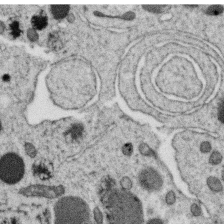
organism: C. elegans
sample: C. elegans oocyte; sperm cells